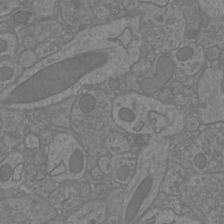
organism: Mouse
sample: Cortical neurons